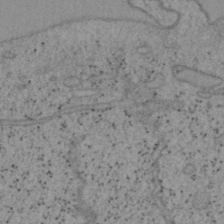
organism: Human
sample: HeLa cells